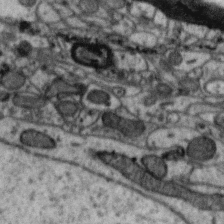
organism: Zebra finch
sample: Brain